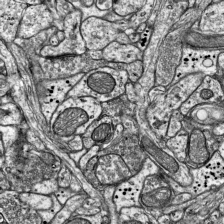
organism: Mouse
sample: Visual Cortex